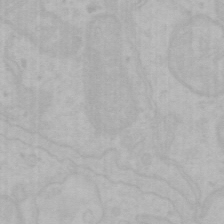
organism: Mouse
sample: Choroid plexus